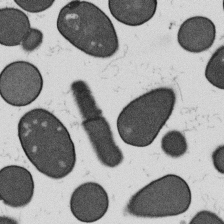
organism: B. subtilis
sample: Bacterial spore